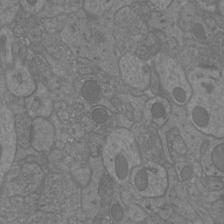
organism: Mouse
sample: Cortical neurons